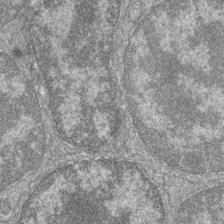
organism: Zebrafish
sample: Cilia; retinal pigment epithelium